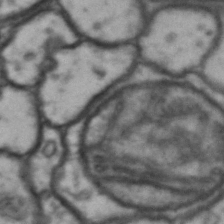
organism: Drosophila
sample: Brain